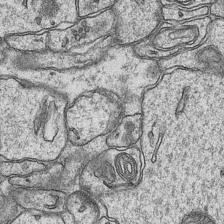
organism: Mouse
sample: CA1 Hippocampus